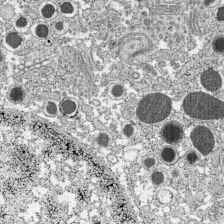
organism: C57BL Mouse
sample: Pancreatic islet